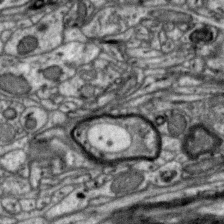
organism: Zebra finch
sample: Brain